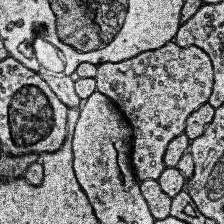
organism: Human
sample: Temporal Lobe